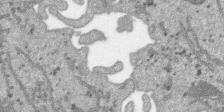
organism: Human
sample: Lung epithelial cells infected with SARS-CoV-2